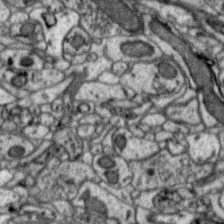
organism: Zebra finch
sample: Brain